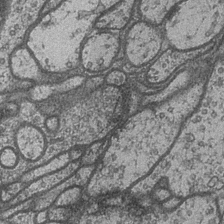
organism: Drosophila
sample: Optic medulla